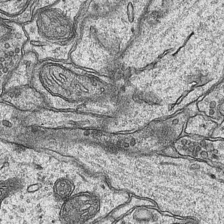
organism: Mouse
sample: CA1 Hippocampus